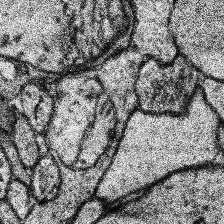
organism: Human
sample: Temporal Lobe